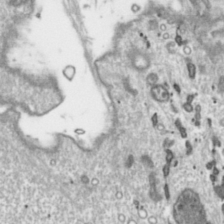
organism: Toxoplasma gondii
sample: Parasites in a vacuole inside a host cell